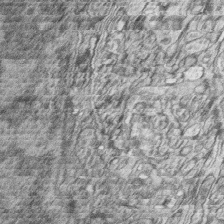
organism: Zebrafish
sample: synaptic ribbons in rod cells and cone cells